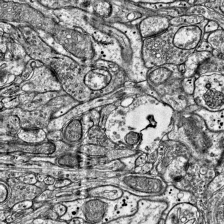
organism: Mouse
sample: Visual Cortex